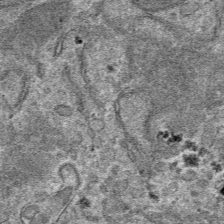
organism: Mouse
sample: Mouse hepatocytes